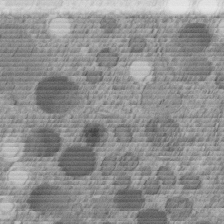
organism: C. elegans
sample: C. elegans embryo early stage